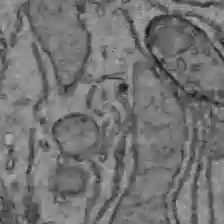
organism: C57BL Mouse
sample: Liver